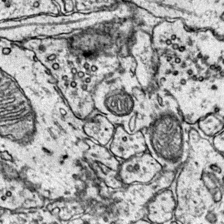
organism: Mouse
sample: Primary visual cortex